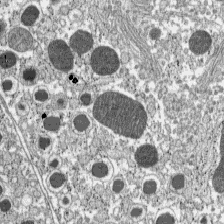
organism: C57BL Mouse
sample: Pancreatic islet